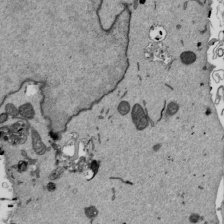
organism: Mouse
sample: ED-1 cell nuclei; centrioles